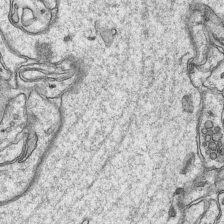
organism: Mouse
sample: CA1 Hippocampus